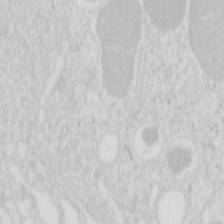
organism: Mouse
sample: Pancreas